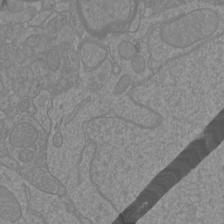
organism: Mouse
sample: Cortical neurons